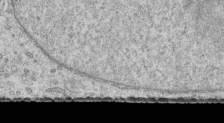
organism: Human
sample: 1205lu cells